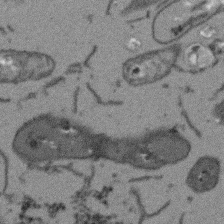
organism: Arabidopsis thaliana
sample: Root tip